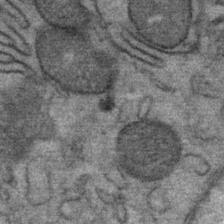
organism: Mouse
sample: Mouse Salivary gland